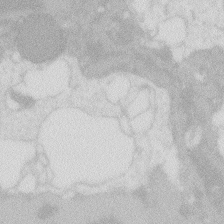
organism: Zebrafish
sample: Macrophage